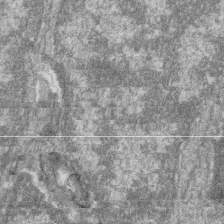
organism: Zebrafish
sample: Cilia; retinal pigment epithelium